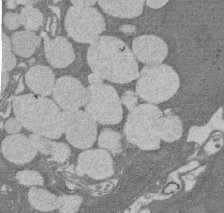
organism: Rat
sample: Salivary granule